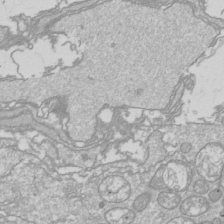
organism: Drosophila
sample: Cell division; meiosis; drosophila spermatocytes